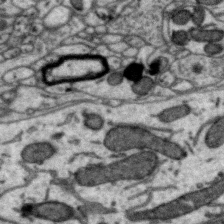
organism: Zebra finch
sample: Brain